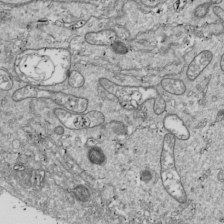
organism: Drosophila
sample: Cell division; meiosis; drosophila spermatocytes